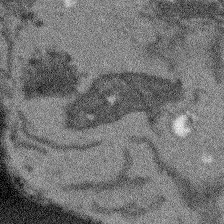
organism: Arabidopsis thaliana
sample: Root tip